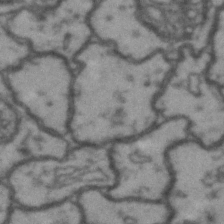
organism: Drosophila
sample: Brain